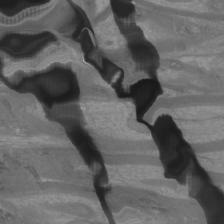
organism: Mouse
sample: Cortical neurons